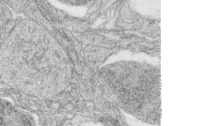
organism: Zebrafish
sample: synaptic ribbons in rod cells and cone cells